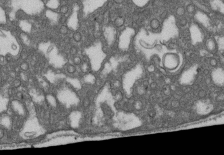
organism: Drosophila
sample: Nephrocyte